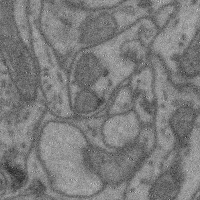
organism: Mouse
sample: Cerebral cortex